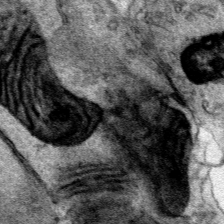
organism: Human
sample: Mitochondria in HCT116 cells